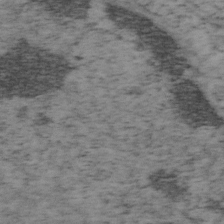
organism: Mouse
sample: OT-I killer T cells with ID8 ovarian cancer cells